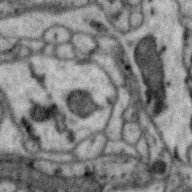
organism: Zebra finch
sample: Brain